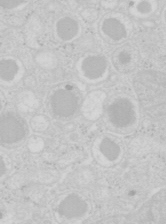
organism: Mouse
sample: Pancreas